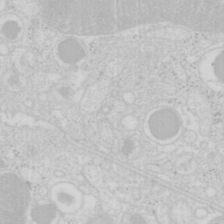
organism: Mouse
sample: Pancreas